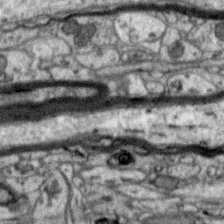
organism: Zebra finch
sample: Brain